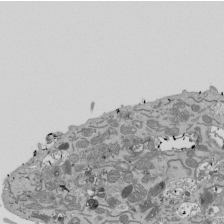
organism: Mouse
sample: ED-1 cell nuclei; centrioles